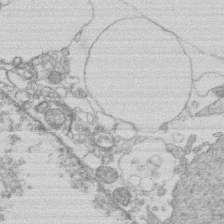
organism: Human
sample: Macrophage cells